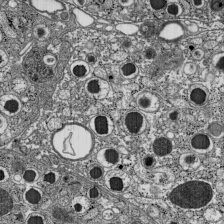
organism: C57BL Mouse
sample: Pancreatic islet